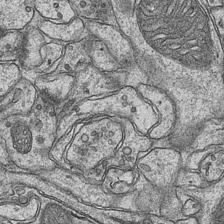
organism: Mouse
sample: CA1 Hippocampus